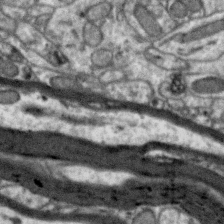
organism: Zebra finch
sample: Brain